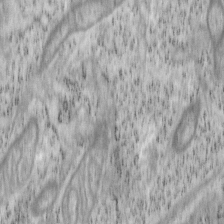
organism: Human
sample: HeLa cells